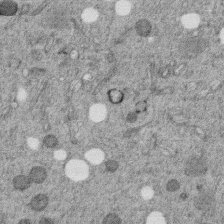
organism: C. elegans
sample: C. elegans embryo early stage